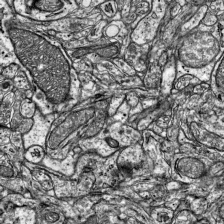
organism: Mouse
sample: Visual Cortex